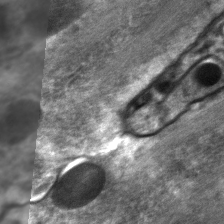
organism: C. elegans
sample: Pharynx